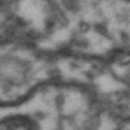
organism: Drosophila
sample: Brain